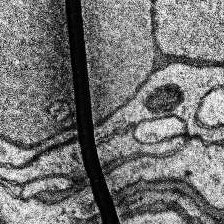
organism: Human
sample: Temporal Lobe